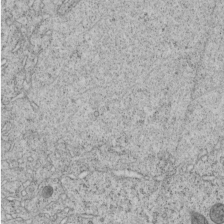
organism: C. elegans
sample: C. elegans embryo early stage